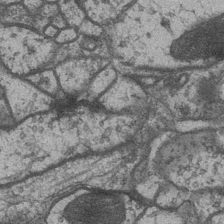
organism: Drosophila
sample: Optic medulla